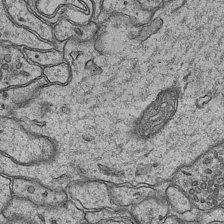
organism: Mouse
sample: CA1 Hippocampus